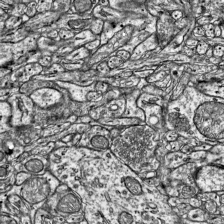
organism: Mouse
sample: Visual Cortex